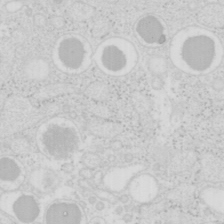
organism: Mouse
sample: Pancreas